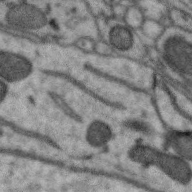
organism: Zebra finch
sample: Brain